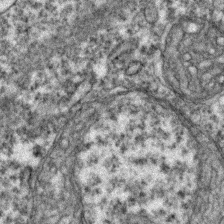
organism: Zebrafish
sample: Zebrafish embryo